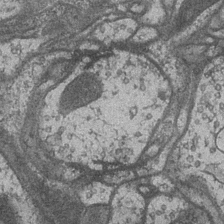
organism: Drosophila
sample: Optic medulla